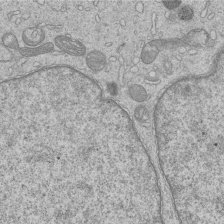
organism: Human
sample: MDA-MB-231 cells